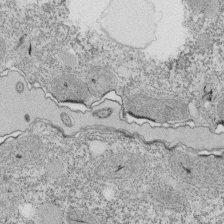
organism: Tetrahymena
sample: Cilia in tetrahymena